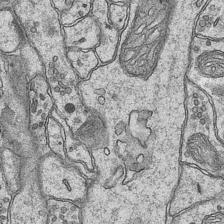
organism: Mouse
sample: CA1 Hippocampus